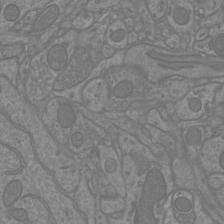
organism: Mouse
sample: Cortical neurons